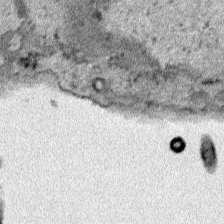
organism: Human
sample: Mitochondria in HCT116 cells